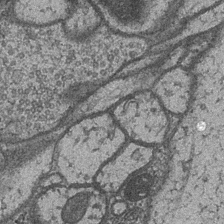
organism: Drosophila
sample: Optic medulla